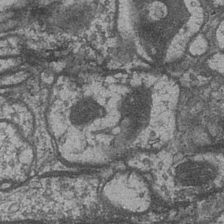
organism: Drosophila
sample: Optic medulla